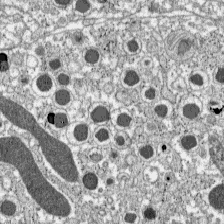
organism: C57BL Mouse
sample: Pancreatic islet